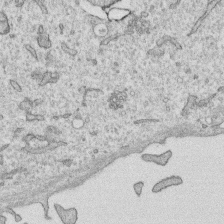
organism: Human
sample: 1205lu cells